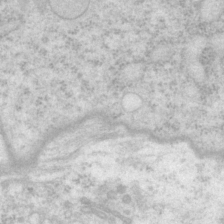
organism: P. pacificus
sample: Pharynx